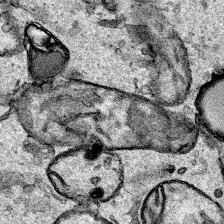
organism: Human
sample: Mitochondria in HCT116 cells